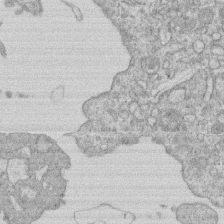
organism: Human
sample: Macrophage cells